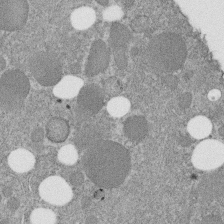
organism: C. elegans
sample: C. elegans embryo early stage